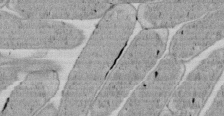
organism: E. coli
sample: Bacterial nucleoid